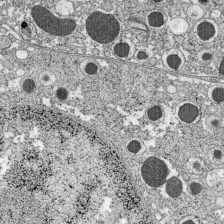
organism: C57BL Mouse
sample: Pancreatic islet